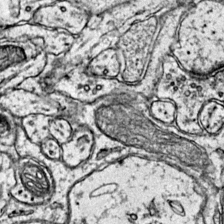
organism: Mouse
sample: Primary visual cortex